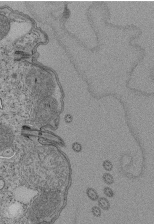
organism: Tetrahymena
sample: Cilia in tetrahymena